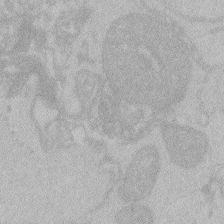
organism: Zebrafish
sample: Macrophage infected with Toxoplasma gondii